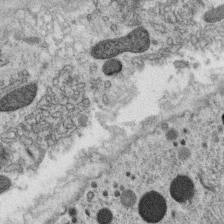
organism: C. elegans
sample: C. elegans oocyte; sperm cells